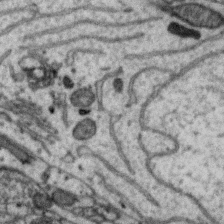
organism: Zebra finch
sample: Brain